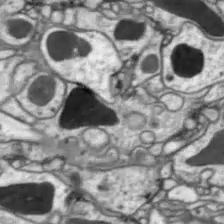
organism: Drosophila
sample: Optic lobe